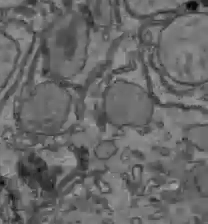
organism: C57BL Mouse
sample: Liver